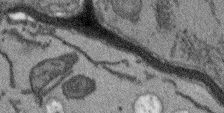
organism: Arabidopsis thaliana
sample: Root tip